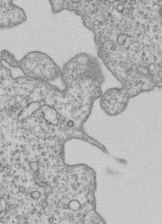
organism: Human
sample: MDA-MB-231 cells